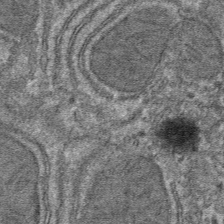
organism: Mouse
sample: Mouse hepatocytes